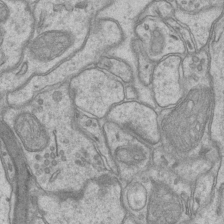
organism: Mouse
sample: CA1 Hippocampus